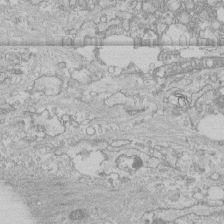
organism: Human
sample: CRL-1474